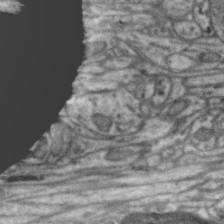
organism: Zebra finch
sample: Brain